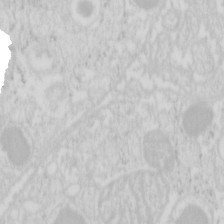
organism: Mouse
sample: Pancreas